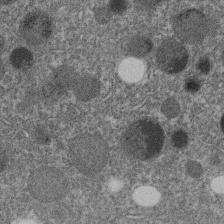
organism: C. elegans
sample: C. elegans embryo early stage